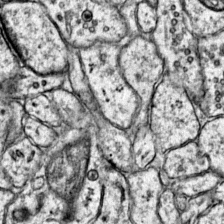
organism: Mouse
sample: Primary visual cortex